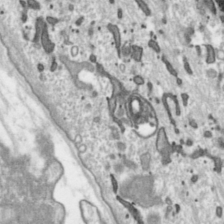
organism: Toxoplasma gondii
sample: Parasites in a vacuole inside a host cell